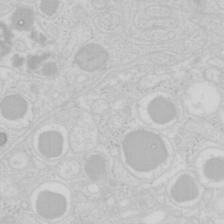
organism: Mouse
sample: Pancreas